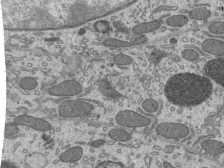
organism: Mouse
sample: Mouse epididymis efferent ductule cilia